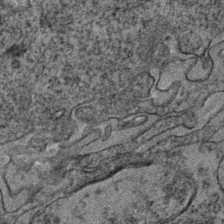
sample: Trachea